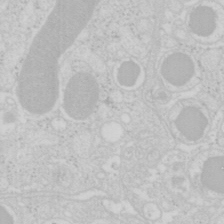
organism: Mouse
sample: Pancreas